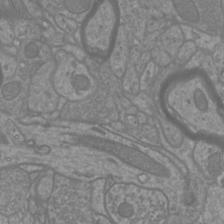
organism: Mouse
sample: Cortical neurons